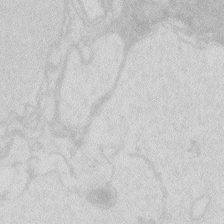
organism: Zebrafish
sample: Macrophage